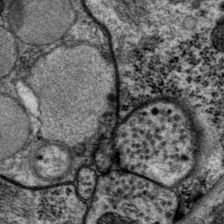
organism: P. pacificus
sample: Pharynx